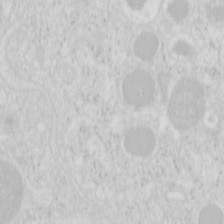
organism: Mouse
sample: Pancreas